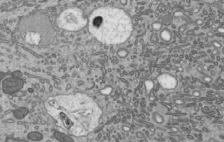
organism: Mouse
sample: Mouse epididymis efferent ductule cilia